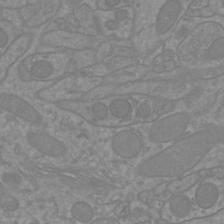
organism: Mouse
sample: Cortical neurons